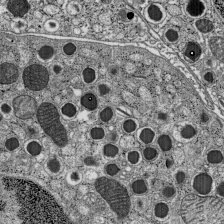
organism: C57BL Mouse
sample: Pancreatic islet